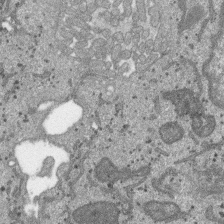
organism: Human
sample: Lung epithelial cells infected with SARS-CoV-2